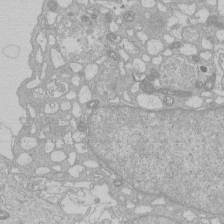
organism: Human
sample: Macrophage cells